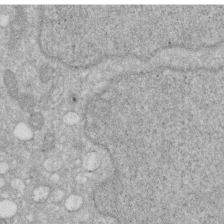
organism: Human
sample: HIV infected U937 cells